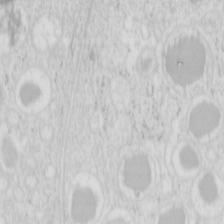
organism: Mouse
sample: Pancreas